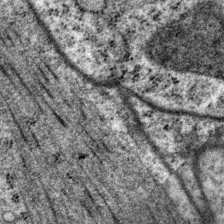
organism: P. pacificus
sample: Pharynx